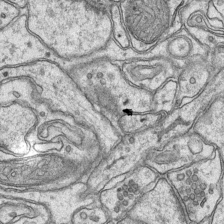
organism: Mouse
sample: CA1 Hippocampus